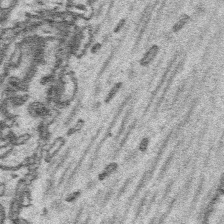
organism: Platynereis dumerilii